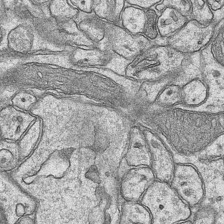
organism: Mouse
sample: CA1 Hippocampus